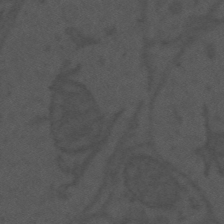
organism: Mouse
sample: Suprachiasmatic nucleus